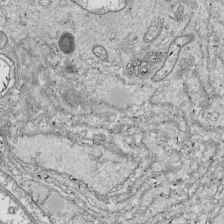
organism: Drosophila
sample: Cell division; meiosis; drosophila spermatocytes